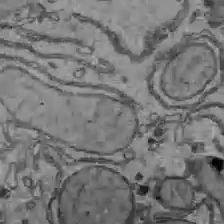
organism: C57BL Mouse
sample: Liver